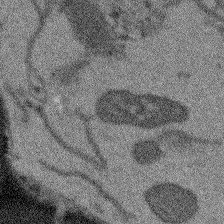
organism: Arabidopsis thaliana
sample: Root tip